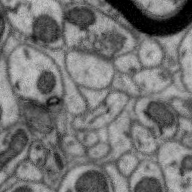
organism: Zebra finch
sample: Brain